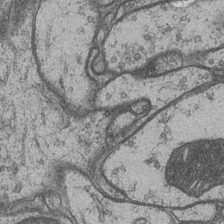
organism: Drosophila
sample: Optic medulla